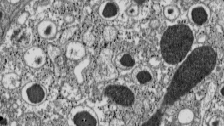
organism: C57BL Mouse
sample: Pancreatic islet